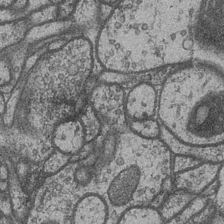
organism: Drosophila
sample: Optic medulla